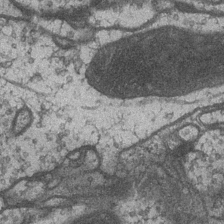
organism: Drosophila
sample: Optic medulla